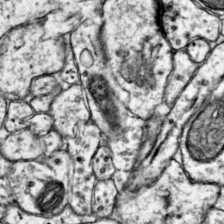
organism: Mouse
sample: Primary visual cortex